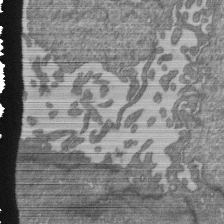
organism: Human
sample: Retinal organoid Rod and Cone cells